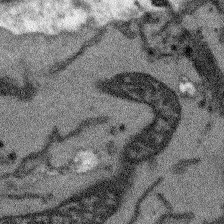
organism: Arabidopsis thaliana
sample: Root tip